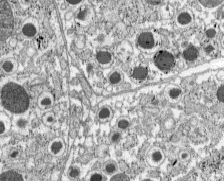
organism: C57BL Mouse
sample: Pancreatic islet